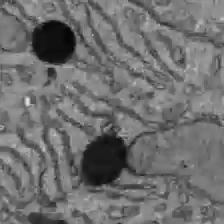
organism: C57BL Mouse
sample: Liver